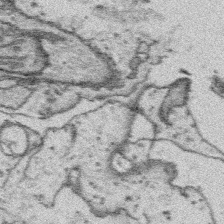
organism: Platynereis dumerilii